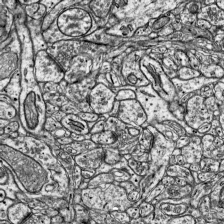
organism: Mouse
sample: Visual Cortex